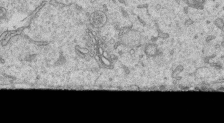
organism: Human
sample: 1205lu cells